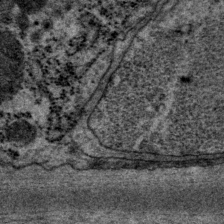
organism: P. pacificus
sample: Pharynx